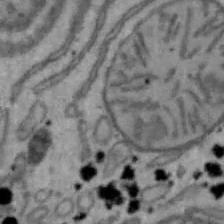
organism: Mouse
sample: Liver